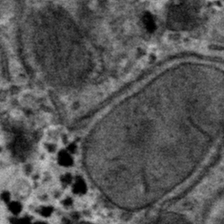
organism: Mouse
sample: Mouse hepatocytes